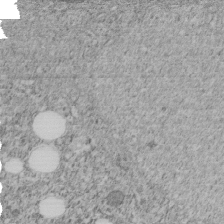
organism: C. elegans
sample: C. elegans embryo early stage